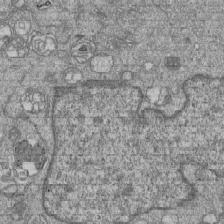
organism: Human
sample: MDA-MB-231 cells